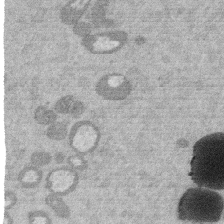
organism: Mouse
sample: Dividing mouse embryo 1 cell stage